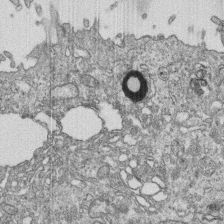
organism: Human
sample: HeLa cell HIV synapse